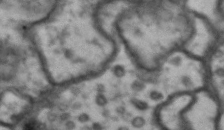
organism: Drosophila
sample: Brain